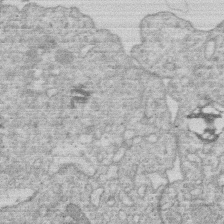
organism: Human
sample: Macrophage cells